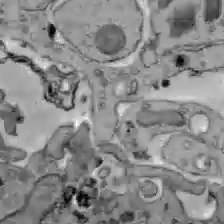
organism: C57BL Mouse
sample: Liver